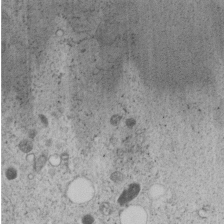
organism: C. elegans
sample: C. elegans embryo early stage